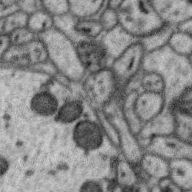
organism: Zebra finch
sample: Brain